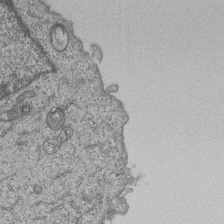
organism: Human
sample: MDA-MB-231 cells